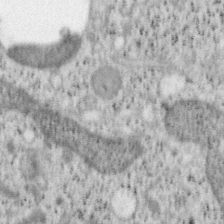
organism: Mouse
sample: OT-I killer T cells with ID8 ovarian cancer cells